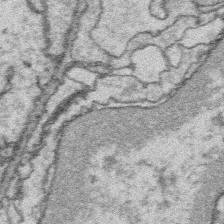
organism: Platynereis dumerilii